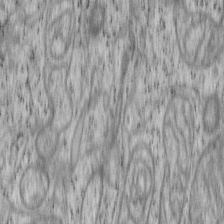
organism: Human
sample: HeLa cells